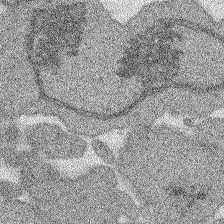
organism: Human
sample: HeLa cells